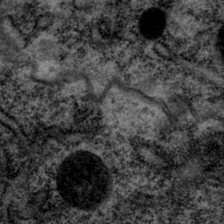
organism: P. pacificus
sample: Pharynx